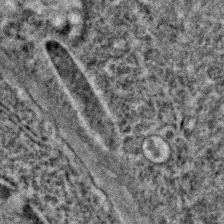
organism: C. elegans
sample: C. elegans embryo